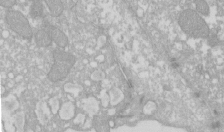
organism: Xenopus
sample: Cilia; centrioles in frog embryo cells